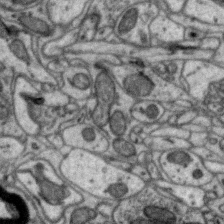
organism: Zebra finch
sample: Brain